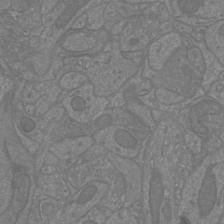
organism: Mouse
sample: Cortical neurons